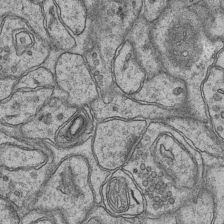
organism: Mouse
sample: CA1 Hippocampus